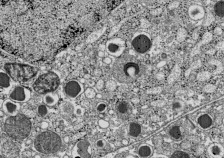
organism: C57BL Mouse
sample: Pancreatic islet